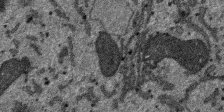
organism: Human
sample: Lung epithelial cells infected with SARS-CoV-2